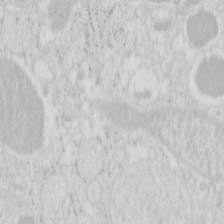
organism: Mouse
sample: Pancreas